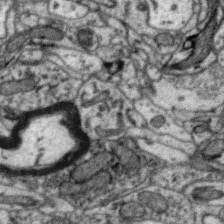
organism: Zebra finch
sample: Brain